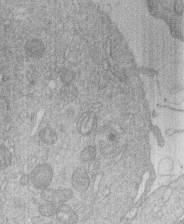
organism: Human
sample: Macrophage cells